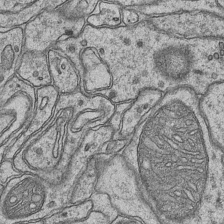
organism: Mouse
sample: CA1 Hippocampus